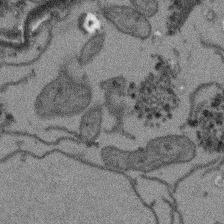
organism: Arabidopsis thaliana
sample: Root tip